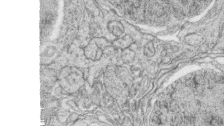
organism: Zebrafish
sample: synaptic ribbons in rod cells and cone cells